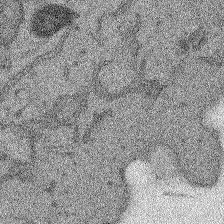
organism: Human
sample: HeLa cells